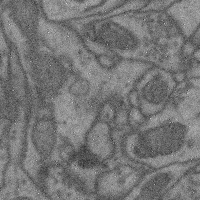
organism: Mouse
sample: Cerebral cortex